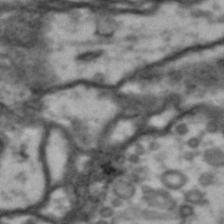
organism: Drosophila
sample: Brain